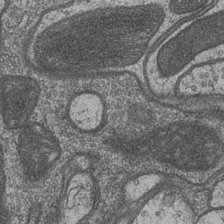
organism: Drosophila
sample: Optic medulla